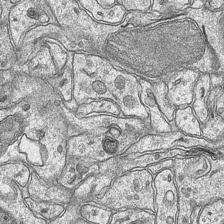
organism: Mouse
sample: CA1 Hippocampus